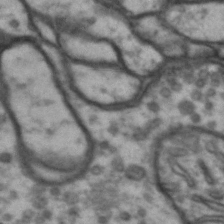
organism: Drosophila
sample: Brain